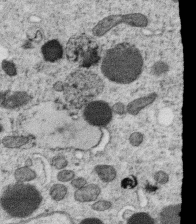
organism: C. elegans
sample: C. elegans oocyte; sperm cells